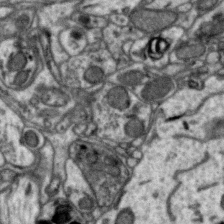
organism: Zebra finch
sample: Brain